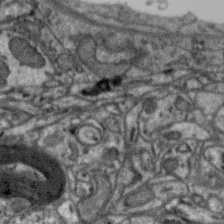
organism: Zebra finch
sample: Brain